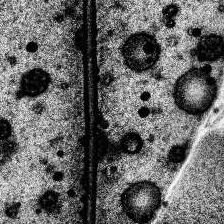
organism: Human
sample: Temporal Lobe